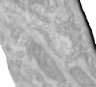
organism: Human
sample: Centriole in RPE cells